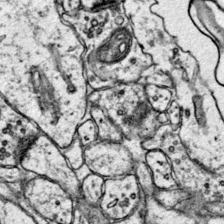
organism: Mouse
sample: Primary visual cortex